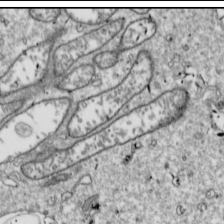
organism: Drosophila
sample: Cell division; meiosis; drosophila spermatocytes